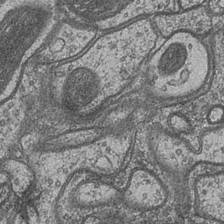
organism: Drosophila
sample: Optic medulla